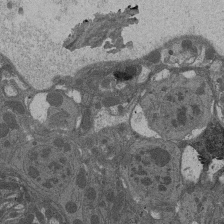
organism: Drosophila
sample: Antenna